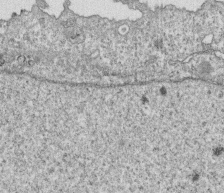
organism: Human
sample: HeLa cell HIV synapse